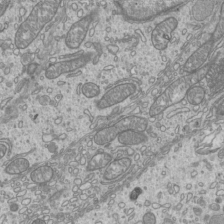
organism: Mouse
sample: Cilia; mouse epididymis